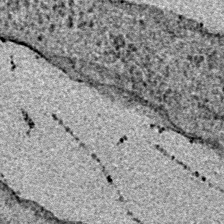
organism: E. coli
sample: E. Coli Bacteria